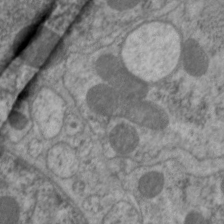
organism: C. elegans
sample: Pharynx